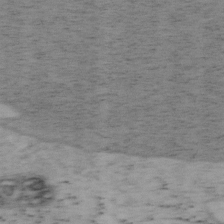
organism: Mouse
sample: OT-I killer T cells with ID8 ovarian cancer cells